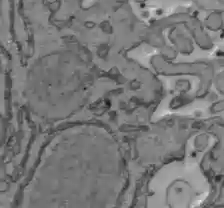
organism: C57BL Mouse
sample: Liver